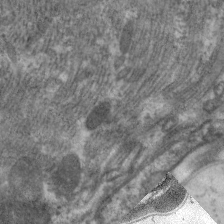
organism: C. elegans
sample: Pharynx